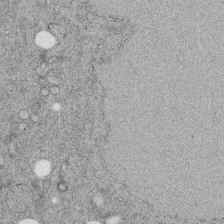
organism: C. elegans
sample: C. elegans embryo early stage